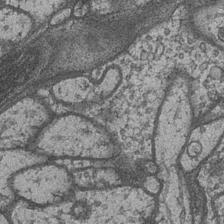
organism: Drosophila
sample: Optic medulla